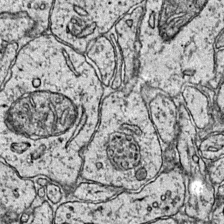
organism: Mouse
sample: Primary visual cortex